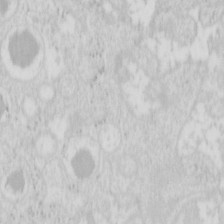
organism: Mouse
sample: Pancreas